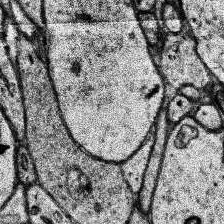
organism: Human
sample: Temporal Lobe